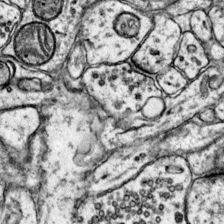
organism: Mouse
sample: Primary visual cortex